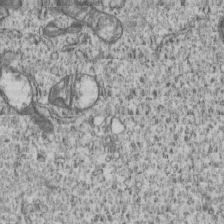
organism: Human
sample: MDA-MB-231 cells